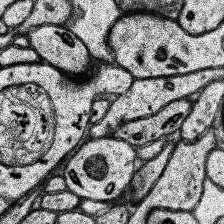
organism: Human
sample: Temporal Lobe